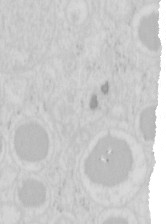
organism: Mouse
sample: Pancreas